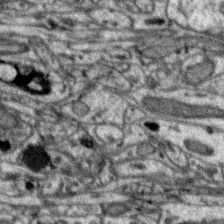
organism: Zebra finch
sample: Brain